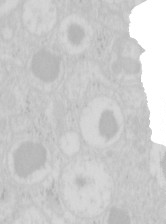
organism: Mouse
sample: Pancreas